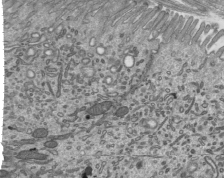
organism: Mouse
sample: Mouse epididymis efferent ductule cilia